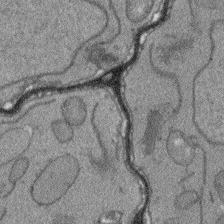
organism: Arabidopsis thaliana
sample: Root tip